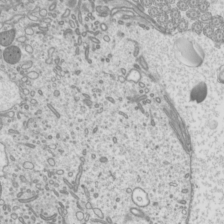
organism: Mouse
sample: Cilia; mouse epididymis